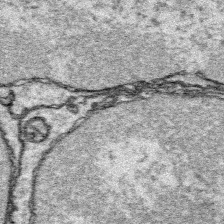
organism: Platynereis dumerilii